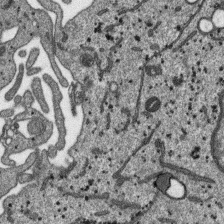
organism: Human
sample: Lung epithelial cells infected with SARS-CoV-2